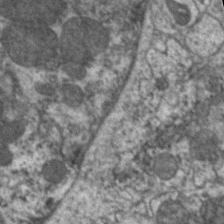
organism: C. elegans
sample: Pharynx